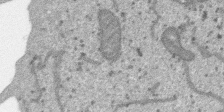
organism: Human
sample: Lung epithelial cells infected with SARS-CoV-2